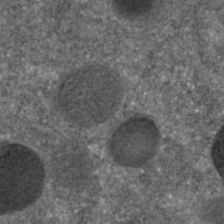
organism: C. elegans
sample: C. elegans embryo